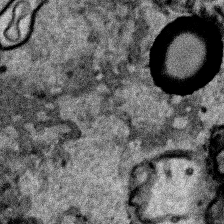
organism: Human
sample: Mitochondria in HCT116 cells